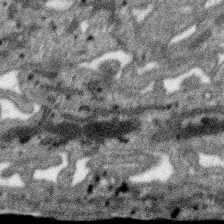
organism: Human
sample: Lung epithelial cells infected with SARS-CoV-2